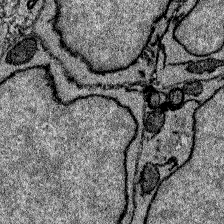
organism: Zebrafish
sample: Larval olfactory bulb